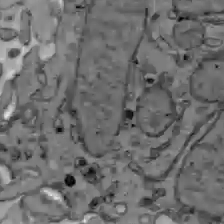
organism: C57BL Mouse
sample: Liver